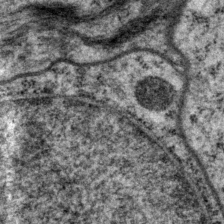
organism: P. pacificus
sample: Pharynx